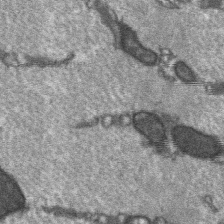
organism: C57BL Mouse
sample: Soleus